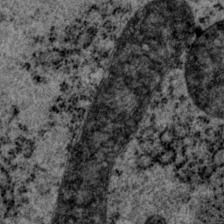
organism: P. pacificus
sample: Pharynx